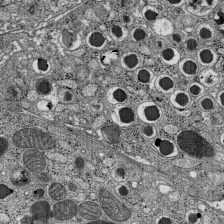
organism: C57BL Mouse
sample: Pancreatic islet